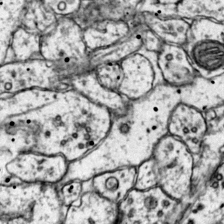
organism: Mouse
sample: Primary visual cortex